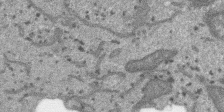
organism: Human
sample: Lung epithelial cells infected with SARS-CoV-2